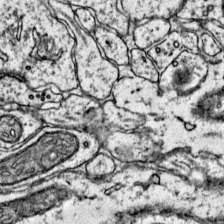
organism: Mouse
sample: Primary visual cortex